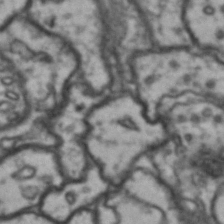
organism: Drosophila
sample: Brain